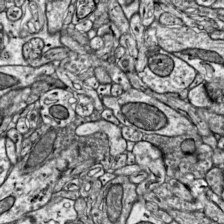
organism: Mouse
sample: Visual Cortex